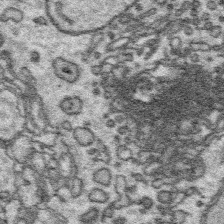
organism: Platynereis dumerilii